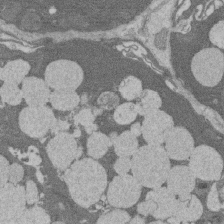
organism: Rat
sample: Salivary granule